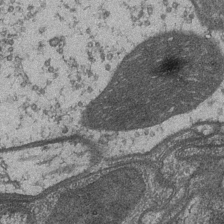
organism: Drosophila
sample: Optic medulla